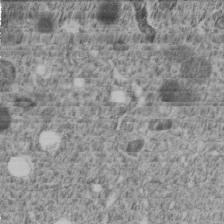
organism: C. elegans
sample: C. elegans embryo early stage